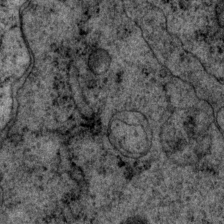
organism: P. pacificus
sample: Pharynx